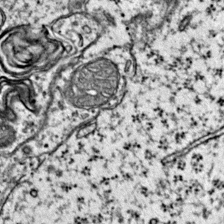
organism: Mouse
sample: Primary visual cortex